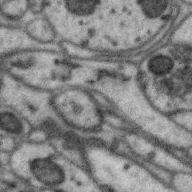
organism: Zebra finch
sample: Brain